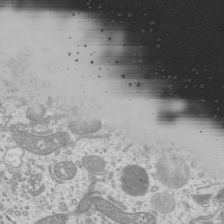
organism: Mouse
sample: Cilia; mouse epididymis